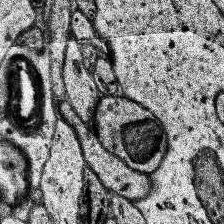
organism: Human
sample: Temporal Lobe